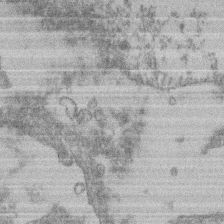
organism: Mouse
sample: T cell stromal cell synapse